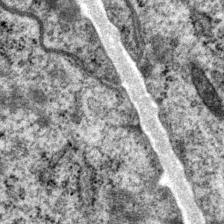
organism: P. pacificus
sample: Pharynx